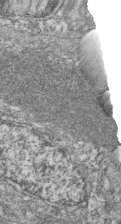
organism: Zebrafish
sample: Cilia; retinal pigment epithelium